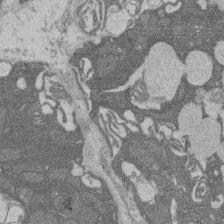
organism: Rat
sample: Salivary granule